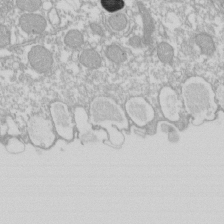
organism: Xenopus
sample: Cilia; centrioles in frog embryo cells